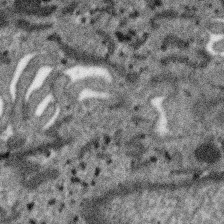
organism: Human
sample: Lung epithelial cells infected with SARS-CoV-2